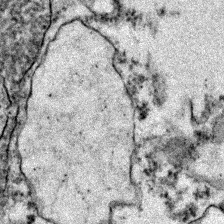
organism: Zebrafish